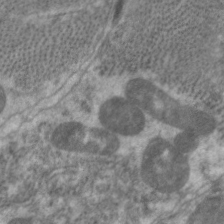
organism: C. elegans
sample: Pharynx